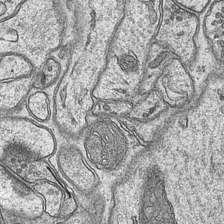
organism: Mouse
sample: CA1 Hippocampus